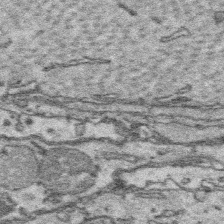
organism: Platynereis dumerilii